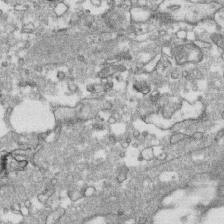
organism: Human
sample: CRL-1474